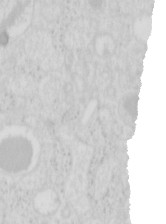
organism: Mouse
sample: Pancreas